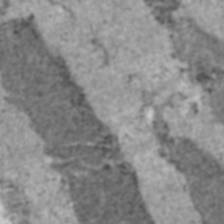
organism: C57BL Mouse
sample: Heart